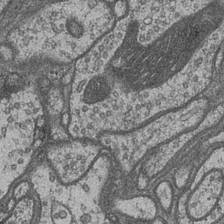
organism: Drosophila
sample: Optic medulla